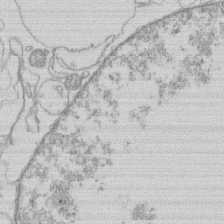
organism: Human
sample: Macrophage cells